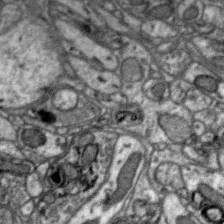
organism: Zebra finch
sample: Brain